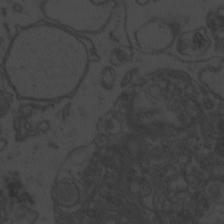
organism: Zebrafish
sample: Macrophage infected with Toxoplasma gondii